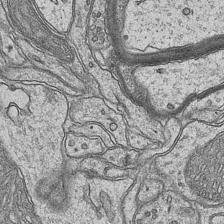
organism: Mouse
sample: CA1 Hippocampus